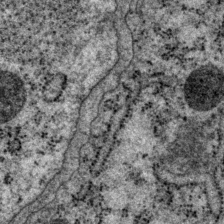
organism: P. pacificus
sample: Pharynx